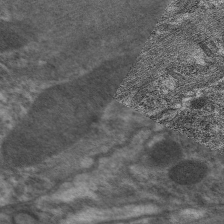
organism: C. elegans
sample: Pharynx